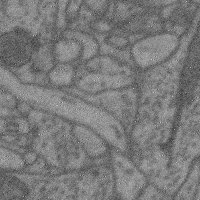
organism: Mouse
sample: Cerebral cortex